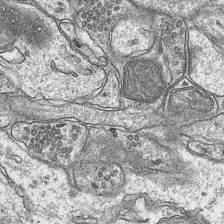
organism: Mouse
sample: CA1 Hippocampus